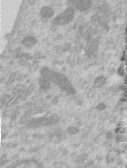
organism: Human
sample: Centriole in RPE cells